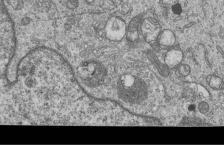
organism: Human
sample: MDA-MB-231 cells